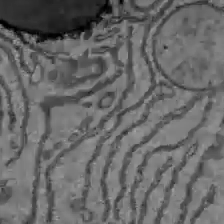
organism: C57BL Mouse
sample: Liver